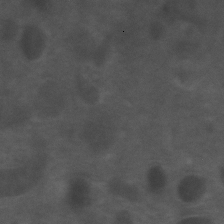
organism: Zebrafish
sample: Zebrafish embryo